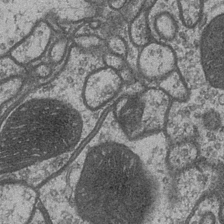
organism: Drosophila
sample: Optic medulla